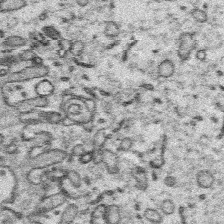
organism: Platynereis dumerilii